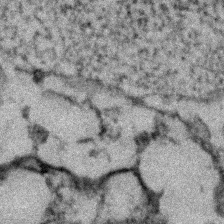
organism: Zebrafish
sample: Zebrafish embryo